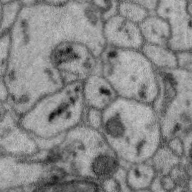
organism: Zebra finch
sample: Brain